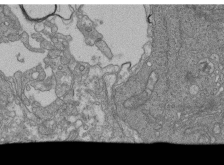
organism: Human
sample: Retinal organoid Rod and Cone cells